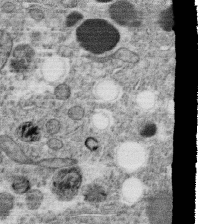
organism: C. elegans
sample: C. elegans oocyte; sperm cells